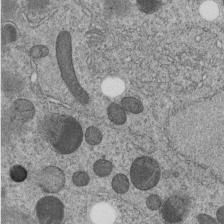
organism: C. elegans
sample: C. elegans embryo early stage